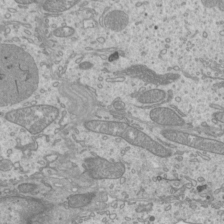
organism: Mouse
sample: Cilia; mouse epididymis